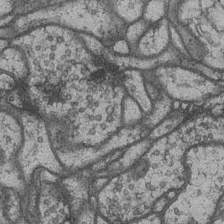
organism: Drosophila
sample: Optic medulla